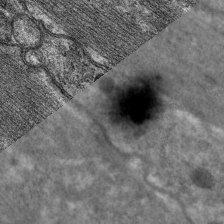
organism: C. elegans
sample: Pharynx